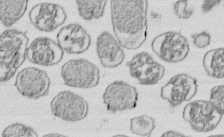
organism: E. coli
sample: Bacterial nucleoid